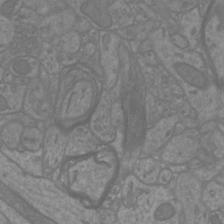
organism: Mouse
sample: Cortical neurons